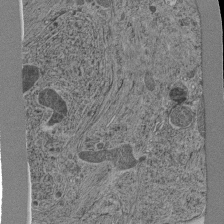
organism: C. elegans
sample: C. elegans pharynx